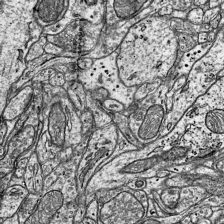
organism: Mouse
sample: Visual Cortex